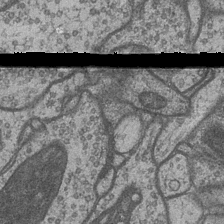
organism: Drosophila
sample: Optic medulla